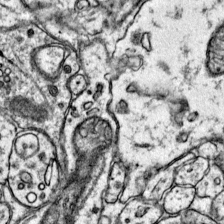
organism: Mouse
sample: Primary visual cortex